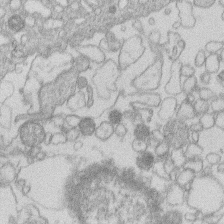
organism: Human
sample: Macrophage cells